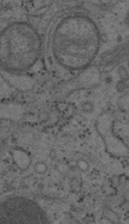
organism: Human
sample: HeLa cells